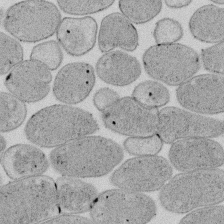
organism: E. coli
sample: Bacterial nucleoid